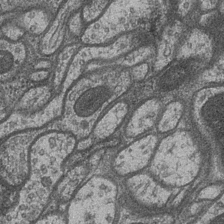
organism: Drosophila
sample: Optic medulla